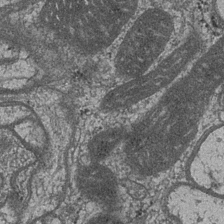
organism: Drosophila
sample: Optic medulla